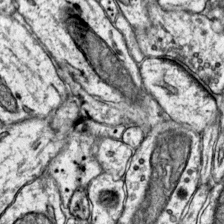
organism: Mouse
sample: Primary visual cortex